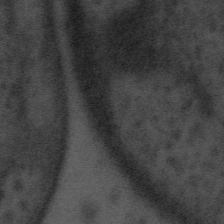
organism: Tuwongella immobilis